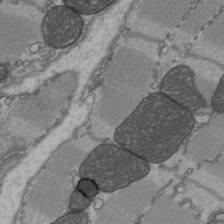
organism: C57BL Mouse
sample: Heart